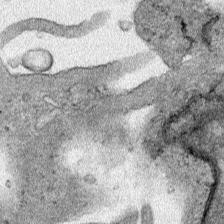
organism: Human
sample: Mitochondria in HCT116 cells